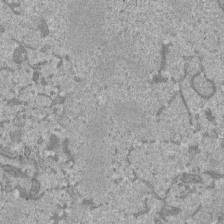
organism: Mouse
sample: ED-1 cell nuclei; centrioles